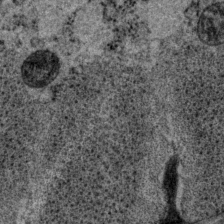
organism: P. pacificus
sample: Pharynx